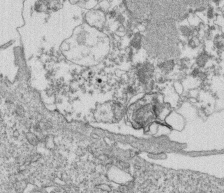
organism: Human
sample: HeLa cell HIV synapse